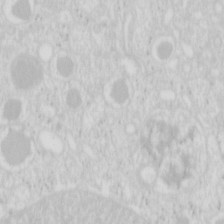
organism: Mouse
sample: Pancreas